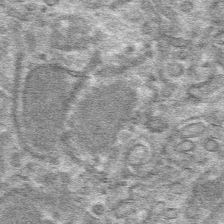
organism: Mouse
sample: Mouse hepatocytes